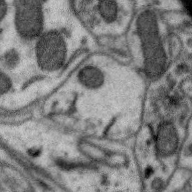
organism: Zebra finch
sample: Brain